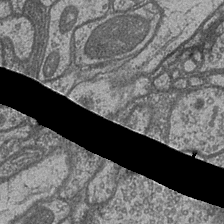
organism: Drosophila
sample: Optic medulla